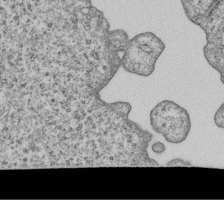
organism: Human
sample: MDA-MB-231 cells